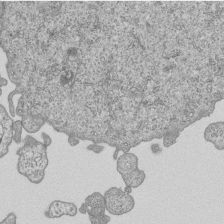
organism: Human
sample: MDA-MB-231 cells